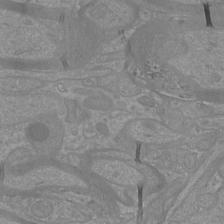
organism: Mouse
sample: Cortical neurons